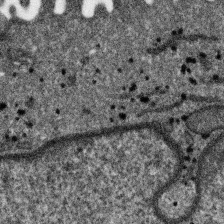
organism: Human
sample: Lung epithelial cells infected with SARS-CoV-2